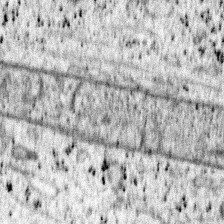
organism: Human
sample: HeLa cells